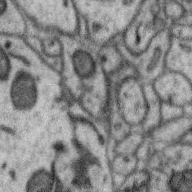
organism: Zebra finch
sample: Brain